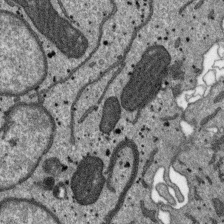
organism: Human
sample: Lung epithelial cells, uninfected (mock) control